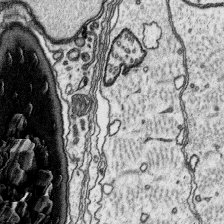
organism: Platynereis dumerilii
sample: Parapodia